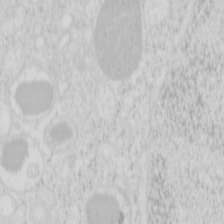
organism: Mouse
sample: Pancreas